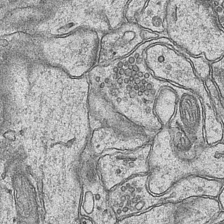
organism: Mouse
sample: CA1 Hippocampus